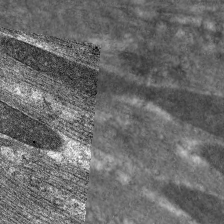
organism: C. elegans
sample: Pharynx